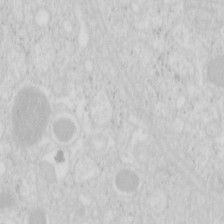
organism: Mouse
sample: Pancreas